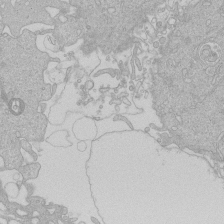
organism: Human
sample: Macrophage cells